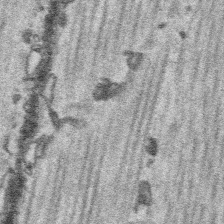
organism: Platynereis dumerilii